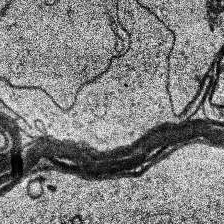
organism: Human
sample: Temporal Lobe